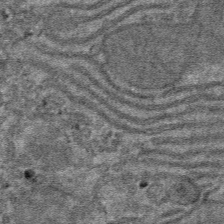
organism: Mouse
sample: Mouse hepatocytes